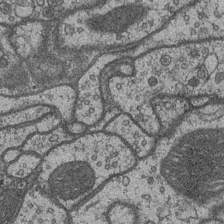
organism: Drosophila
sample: Optic medulla